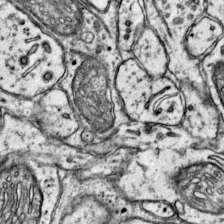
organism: Mouse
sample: Primary visual cortex